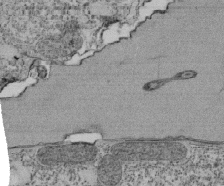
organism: Tetrahymena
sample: Cilia in tetrahymena